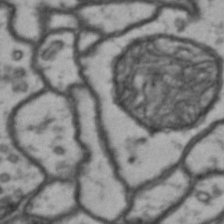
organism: Drosophila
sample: Brain